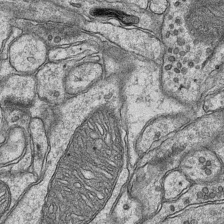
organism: Mouse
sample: CA1 Hippocampus